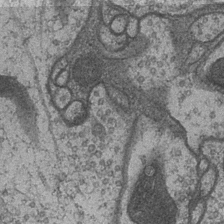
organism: Drosophila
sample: Optic medulla